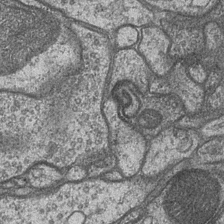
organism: Drosophila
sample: Optic medulla